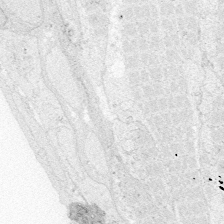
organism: Zebrafish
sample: Whole-Brain